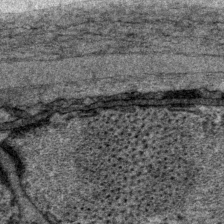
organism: P. pacificus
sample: Pharynx